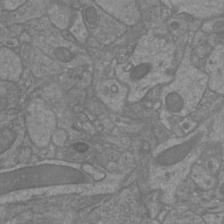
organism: Mouse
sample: Cortical neurons